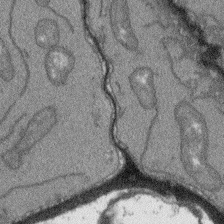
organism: Arabidopsis thaliana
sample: Root tip